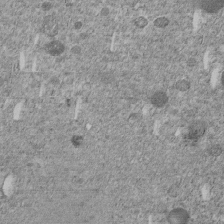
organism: C. elegans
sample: C. elegans embryo early stage